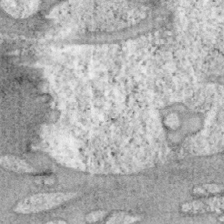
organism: Mouse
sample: OT-I killer T cells with ID8 ovarian cancer cells